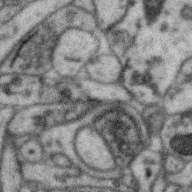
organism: Zebra finch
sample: Brain